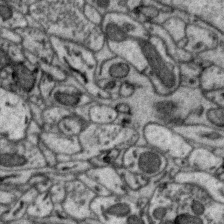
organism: Zebra finch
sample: Brain